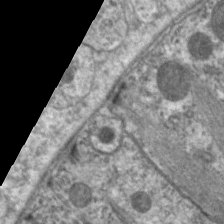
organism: C. elegans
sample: Pharynx